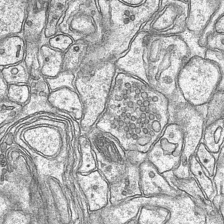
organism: Mouse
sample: CA1 Hippocampus